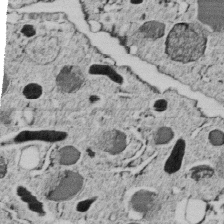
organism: C. elegans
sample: C. elegans embryo early stage